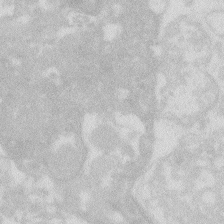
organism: Zebrafish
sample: Macrophage